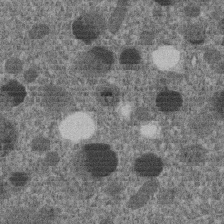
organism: C. elegans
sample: C. elegans embryo early stage